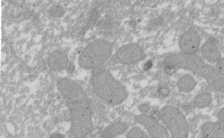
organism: Xenopus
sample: Cilia; centrioles in frog embryo cells